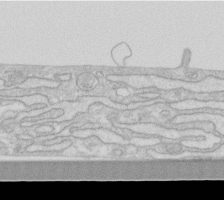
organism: Human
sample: Fibroblast cells